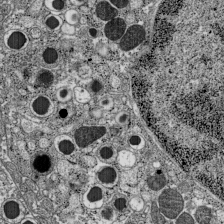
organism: C57BL Mouse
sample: Pancreatic islet